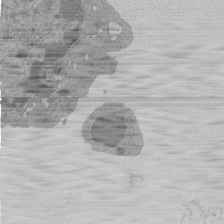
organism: Mouse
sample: Activated Pmel transgenic CD8+ T Cells